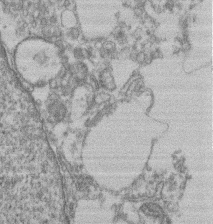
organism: Mouse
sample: T cell stromal cell synapse